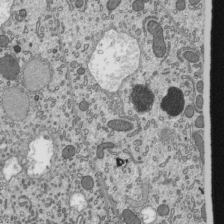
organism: Mouse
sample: Mouse epididymis efferent ductule cilia